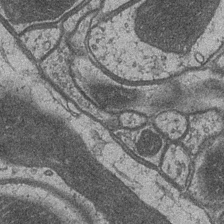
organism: Drosophila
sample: Optic medulla